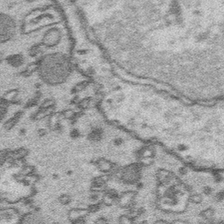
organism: Platynereis dumerilii